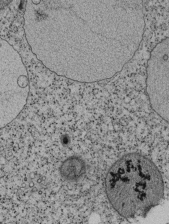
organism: Tetrahymena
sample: Cilia in tetrahymena